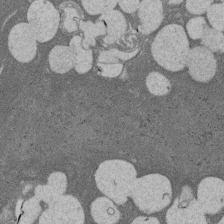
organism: Rat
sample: Salivary granule